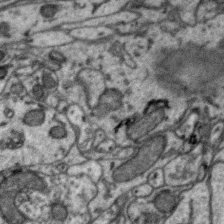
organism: Zebra finch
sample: Brain